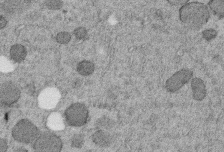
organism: C. elegans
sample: C. elegans embryo early stage